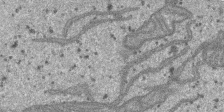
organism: Human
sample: Lung epithelial cells infected with SARS-CoV-2